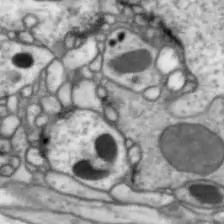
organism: Drosophila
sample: Optic lobe